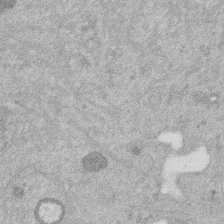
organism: Mouse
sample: Dividing mouse embryo 1 cell stage